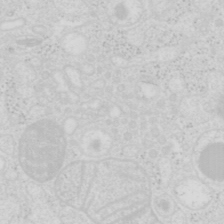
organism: Mouse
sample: Pancreas